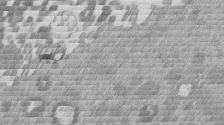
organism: Mouse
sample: Dividing mouse embryo 1 cell stage